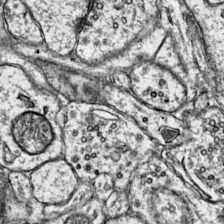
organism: Mouse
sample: Primary visual cortex